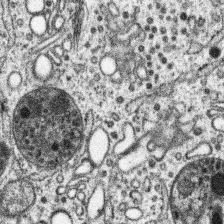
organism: Human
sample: HeLa cells